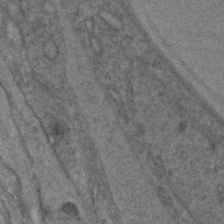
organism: C. elegans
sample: C. elegans embryo